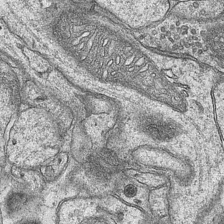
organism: Mouse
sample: CA1 Hippocampus